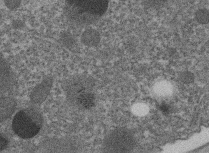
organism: C. elegans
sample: C. elegans embryo early stage